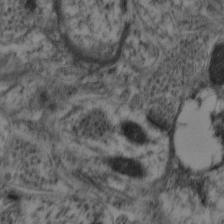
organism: Mouse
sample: Neocortex